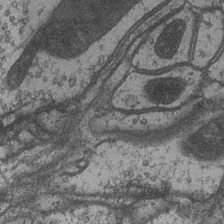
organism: Drosophila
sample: Optic medulla